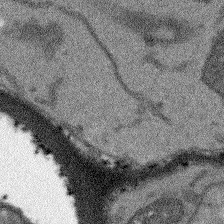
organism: Arabidopsis thaliana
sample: Root tip